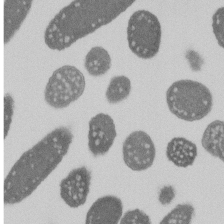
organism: E. coli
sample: Bacterial nucleoid